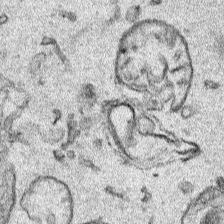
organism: Human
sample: Mitochondria in HCT116 cells